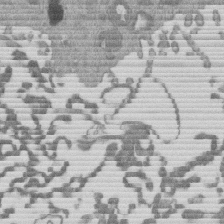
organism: Mouse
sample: Dividing mouse embryo 1 cell stage